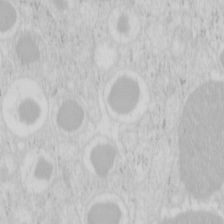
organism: Mouse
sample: Pancreas